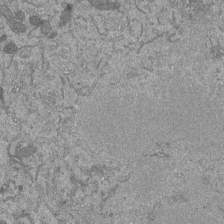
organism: Mouse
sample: ED-1 cell nuclei; centrioles